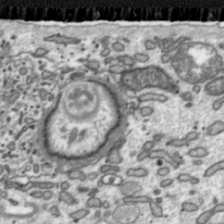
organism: Toxoplasma gondii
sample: Parasites in a vacuole inside a host cell